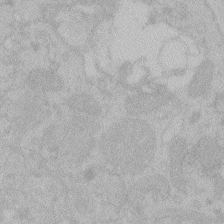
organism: Zebrafish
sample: Macrophage infected with Toxoplasma gondii